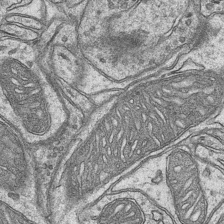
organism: Mouse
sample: CA1 Hippocampus